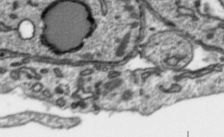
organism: Toxoplasma gondii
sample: Parasites in a vacuole inside a host cell